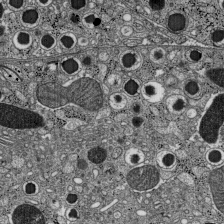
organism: C57BL Mouse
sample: Pancreatic islet